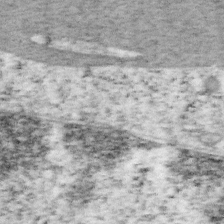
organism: Mouse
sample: OT-I killer T cells with ID8 ovarian cancer cells